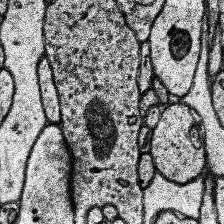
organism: Human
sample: Temporal Lobe